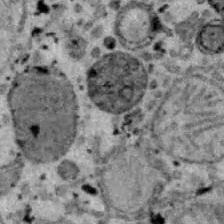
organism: Mouse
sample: Liver from an obese (ob/ob) mouse